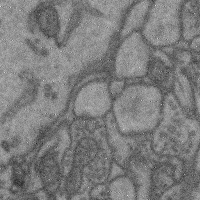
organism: Mouse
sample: Cerebral cortex